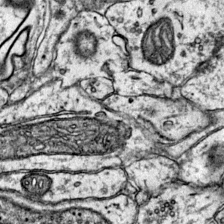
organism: Mouse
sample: Primary visual cortex